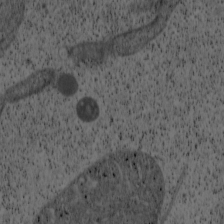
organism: African green monkey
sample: COS-7 cells